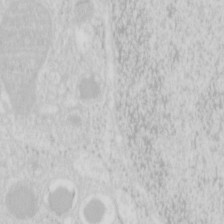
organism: Mouse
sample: Pancreas